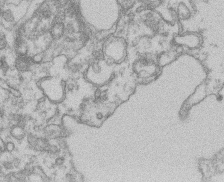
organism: Mouse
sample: T cell stromal cell synapse